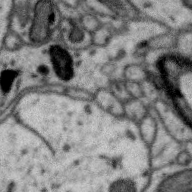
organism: Zebra finch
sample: Brain